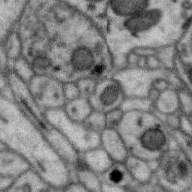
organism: Zebra finch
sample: Brain